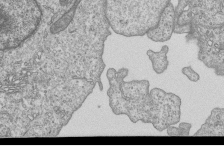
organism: Human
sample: MDA-MB-231 cells